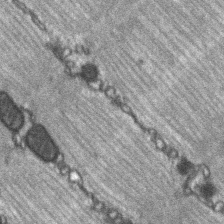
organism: C57BL Mouse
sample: Soleus